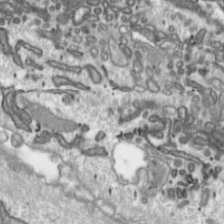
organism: Toxoplasma gondii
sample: Parasites in a vacuole inside a host cell